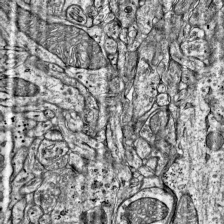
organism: Mouse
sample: Visual Cortex